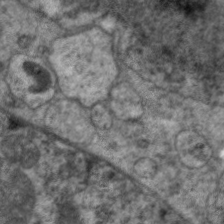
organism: C. elegans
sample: Pharynx